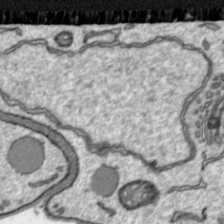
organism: Toxoplasma gondii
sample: Parasites in a vacuole inside a host cell